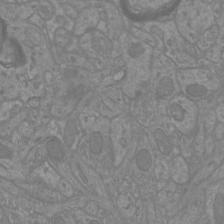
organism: Mouse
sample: Cortical neurons